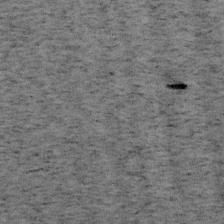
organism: Mouse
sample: OT-I killer T cells with ID8 ovarian cancer cells